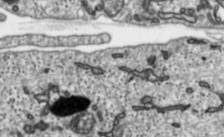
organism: Toxoplasma gondii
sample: Parasites in a vacuole inside a host cell